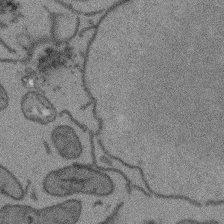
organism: Arabidopsis thaliana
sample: Root tip